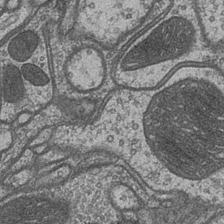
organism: Drosophila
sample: Optic medulla